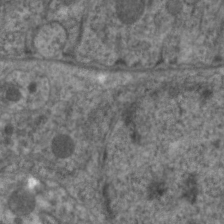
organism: C. elegans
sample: Pharynx